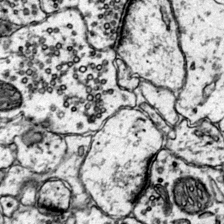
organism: Mouse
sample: Primary visual cortex